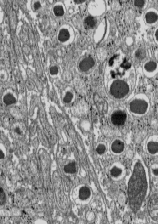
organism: C57BL Mouse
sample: Pancreatic islet